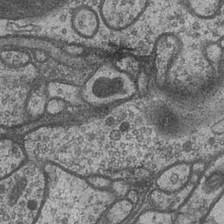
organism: Drosophila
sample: Optic medulla